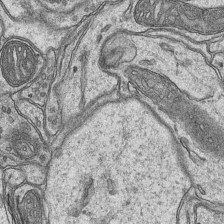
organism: Mouse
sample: CA1 Hippocampus